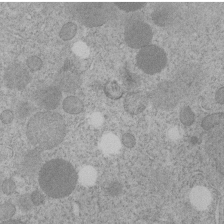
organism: C. elegans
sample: C. elegans embryo early stage